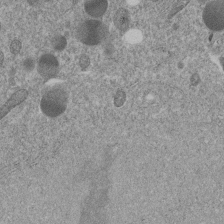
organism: C. elegans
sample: C. elegans embryo early stage